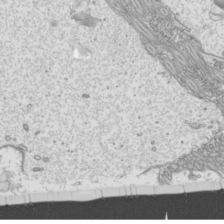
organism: Mouse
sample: Cilia; mouse epididymis